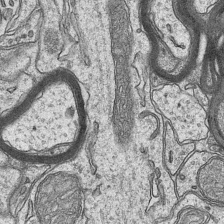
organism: Mouse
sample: CA1 Hippocampus